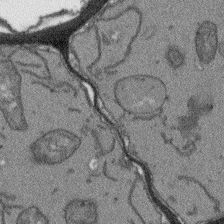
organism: Arabidopsis thaliana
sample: Root tip